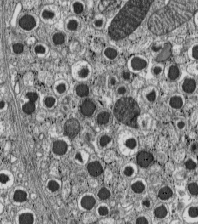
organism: C57BL Mouse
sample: Pancreatic islet